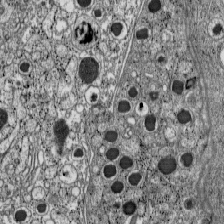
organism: C57BL Mouse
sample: Pancreatic islet